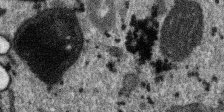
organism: Human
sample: Lung epithelial cells infected with SARS-CoV-2